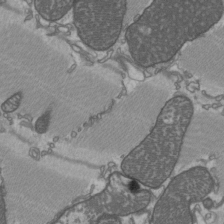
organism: C57BL Mouse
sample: Heart